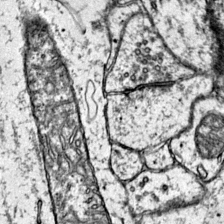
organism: Mouse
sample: Primary visual cortex